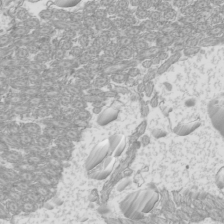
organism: Mouse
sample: Cilia; mouse epididymis